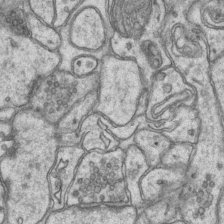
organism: Mouse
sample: CA1 Hippocampus